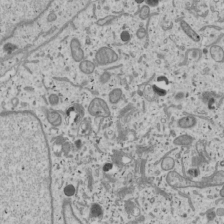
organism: Human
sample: Mitochondria in U2OS cells